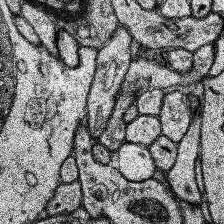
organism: Human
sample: Temporal Lobe